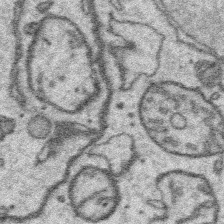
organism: Platynereis dumerilii